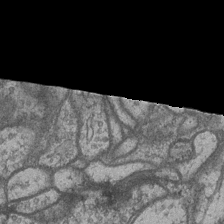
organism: Drosophila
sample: Optic medulla